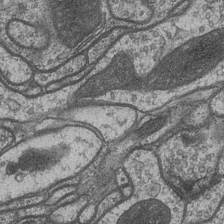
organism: Drosophila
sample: Optic medulla